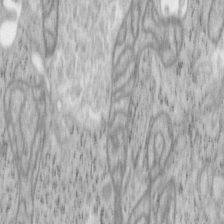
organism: Human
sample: HeLa cells